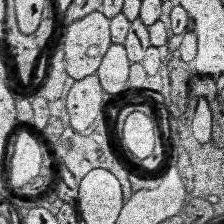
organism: Human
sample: Temporal Lobe